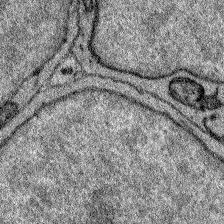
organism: Zebrafish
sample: Larval olfactory bulb